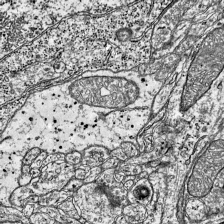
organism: Mouse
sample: Visual Cortex